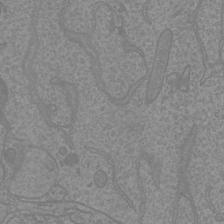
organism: Mouse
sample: Cortical neurons